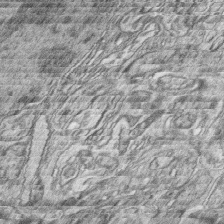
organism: Zebrafish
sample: synaptic ribbons in rod cells and cone cells